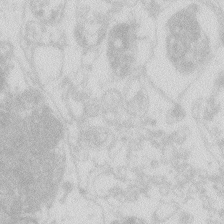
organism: Zebrafish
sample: Macrophage